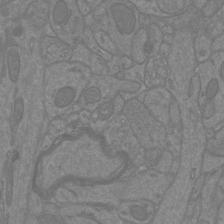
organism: Mouse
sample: Cortical neurons